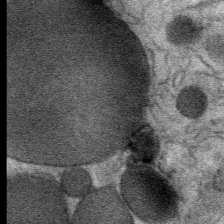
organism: Mouse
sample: Mouse Salivary gland